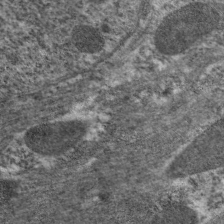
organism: C. elegans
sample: Pharynx